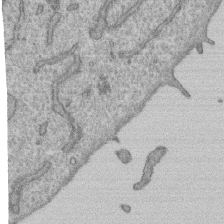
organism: Human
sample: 1205lu cells